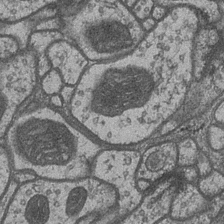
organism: Drosophila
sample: Optic medulla